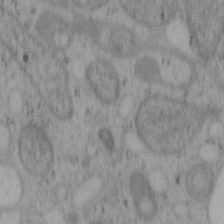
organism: Mouse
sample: OT-I killer T cells with ID8 ovarian cancer cells